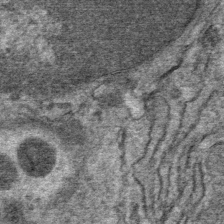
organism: Mouse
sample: Mouse Salivary gland